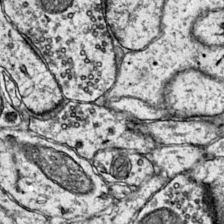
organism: Mouse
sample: Primary visual cortex